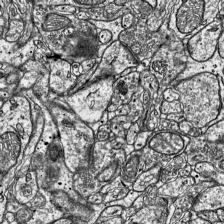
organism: Mouse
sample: Visual Cortex